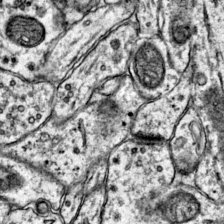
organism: Mouse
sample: Primary visual cortex